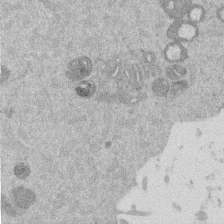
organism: Mouse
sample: Dividing mouse embryo 1 cell stage